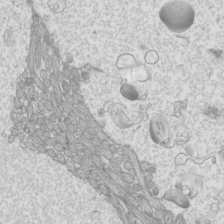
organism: Mouse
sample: Cilia; mouse epididymis